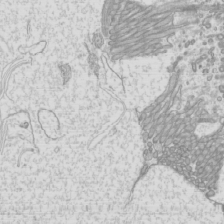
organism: Mouse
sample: Cilia; mouse epididymis